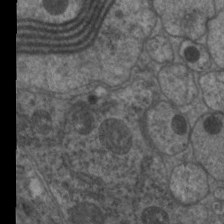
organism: C. elegans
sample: Pharynx